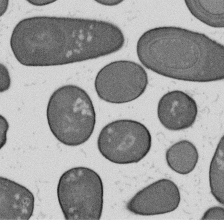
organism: B. subtilis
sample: Bacterial spore